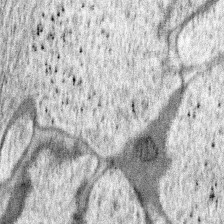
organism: Human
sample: HeLa cells